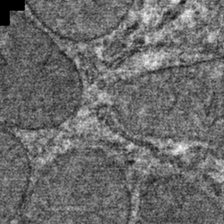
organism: Mouse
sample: Mouse hepatocytes